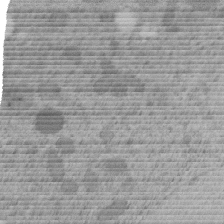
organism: C. elegans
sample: C. elegans embryo early stage